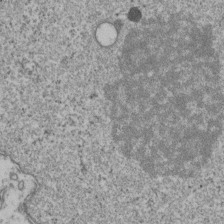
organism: Human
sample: Activated Jurkat CD4+ T cells